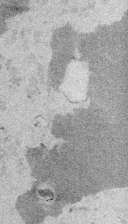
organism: Embia sp.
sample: Silk gland